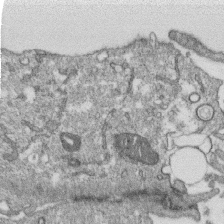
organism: African green monkey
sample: Vero E6 cells infected with SARS-CoV-2